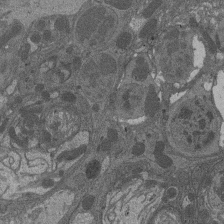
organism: Drosophila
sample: Antenna